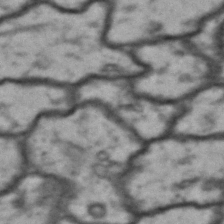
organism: Drosophila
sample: Brain